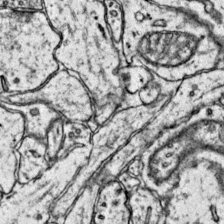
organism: Mouse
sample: Primary visual cortex